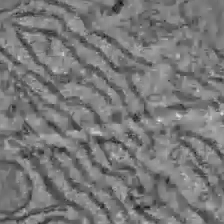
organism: C57BL Mouse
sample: Liver